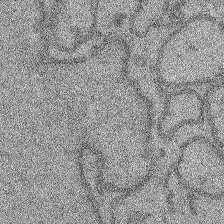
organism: Human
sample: HeLa cells